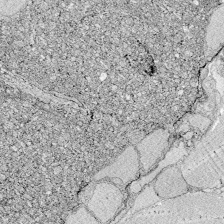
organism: Zebrafish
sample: Whole-Brain